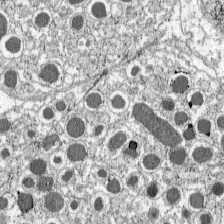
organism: C57BL Mouse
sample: Pancreatic islet